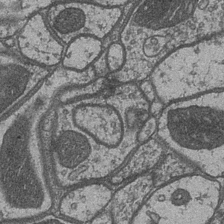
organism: Drosophila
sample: Optic medulla